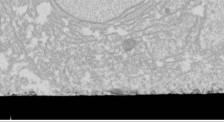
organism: Drosophila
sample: Cell division; meiosis; drosophila spermatocytes